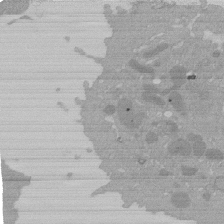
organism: Mouse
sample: Activated Pmel transgenic CD8+ T Cells